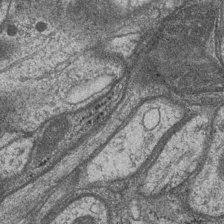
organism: Drosophila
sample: Optic medulla